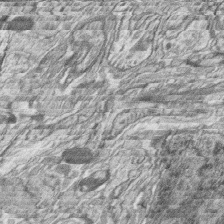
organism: Zebrafish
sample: synaptic ribbons in rod cells and cone cells